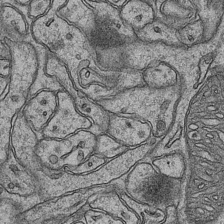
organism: Mouse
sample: CA1 Hippocampus